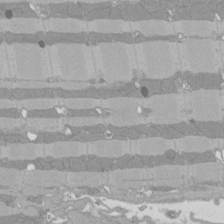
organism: Rat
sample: Left ventricle